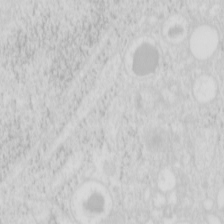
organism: Mouse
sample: Pancreas